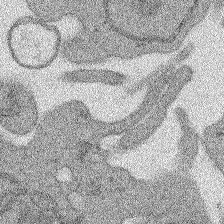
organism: Human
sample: HeLa cells